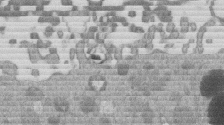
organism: Mouse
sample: Dividing mouse embryo 1 cell stage